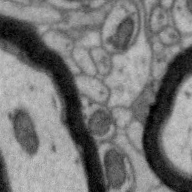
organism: Zebra finch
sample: Brain